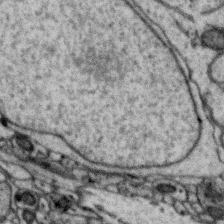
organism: Zebra finch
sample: Brain